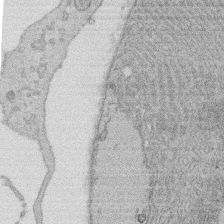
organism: Rat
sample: Salivary granule